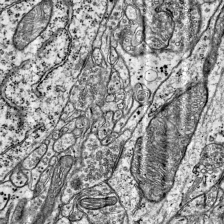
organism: Mouse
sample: Visual Cortex